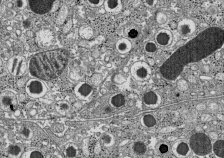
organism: C57BL Mouse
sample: Pancreatic islet